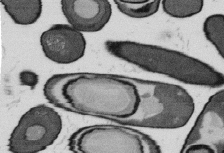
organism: B. subtilis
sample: Bacterial spore